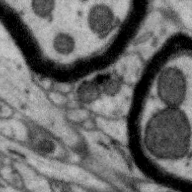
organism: Zebra finch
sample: Brain